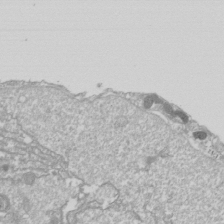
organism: Drosophila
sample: Cell division; meiosis; drosophila spermatocytes